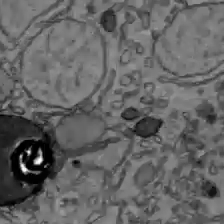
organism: C57BL Mouse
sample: Liver